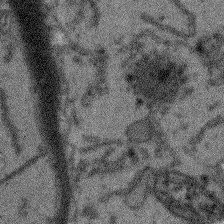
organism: Arabidopsis thaliana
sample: Root tip